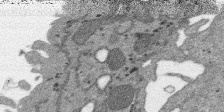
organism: Human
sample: Lung epithelial cells infected with SARS-CoV-2